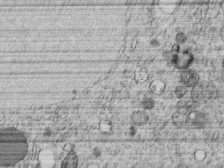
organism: C. elegans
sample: C. elegans embryo early stage